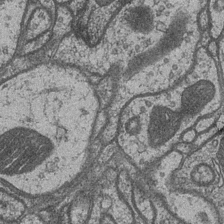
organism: Drosophila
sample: Optic medulla